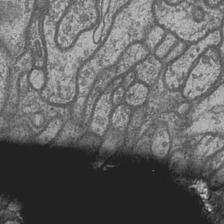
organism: Drosophila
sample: Optic medulla